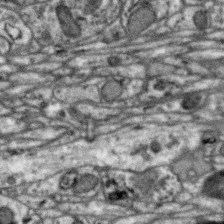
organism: Zebra finch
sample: Brain